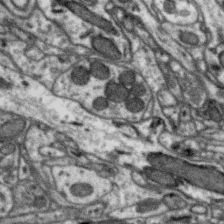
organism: Zebra finch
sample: Brain